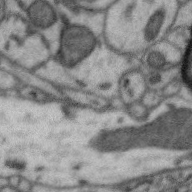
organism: Zebra finch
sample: Brain